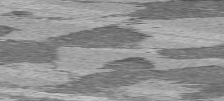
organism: C57BL Mouse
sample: Heart